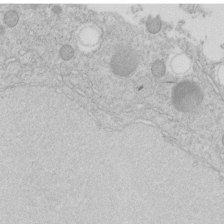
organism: C. elegans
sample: C. elegans embryo early stage